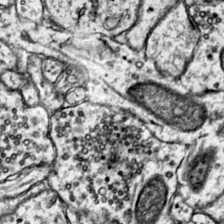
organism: Mouse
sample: Primary visual cortex